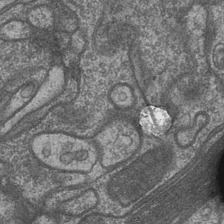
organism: Drosophila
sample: Optic medulla